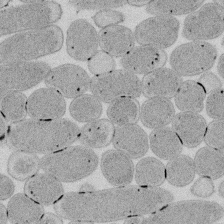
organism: E. coli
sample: Bacterial nucleoid